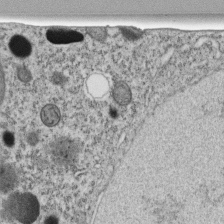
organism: C. elegans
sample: C. elegans embryo early stage